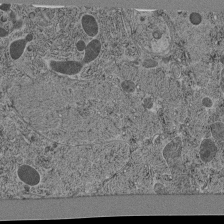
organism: C. elegans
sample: C. elegans pharynx